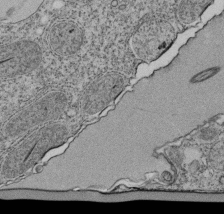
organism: Tetrahymena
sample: Cilia in tetrahymena